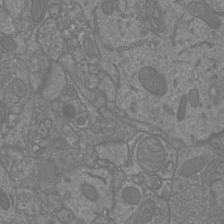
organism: Mouse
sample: Cortical neurons